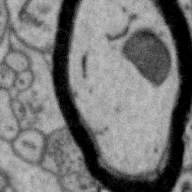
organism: Zebra finch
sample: Brain